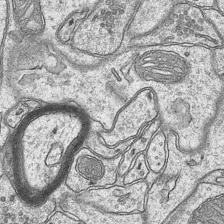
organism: Mouse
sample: CA1 Hippocampus